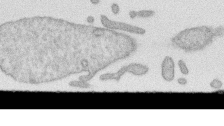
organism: Human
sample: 1205lu cells